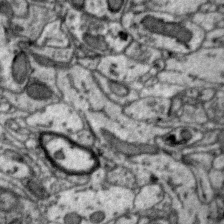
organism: Zebra finch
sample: Brain